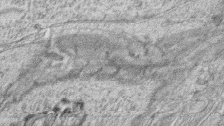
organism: Zebrafish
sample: synaptic ribbons in rod cells and cone cells